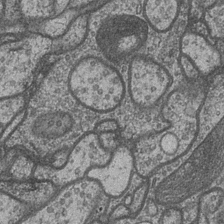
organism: Drosophila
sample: Optic medulla